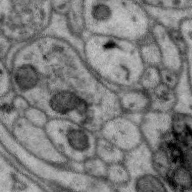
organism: Zebra finch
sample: Brain